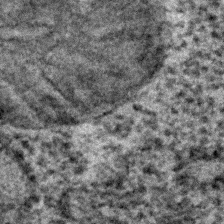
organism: C. elegans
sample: C. elegans embryo